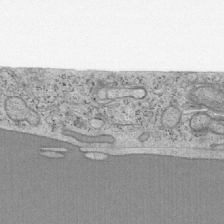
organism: Human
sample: HeLa cells